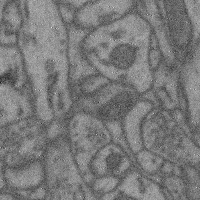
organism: Mouse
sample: Cerebral cortex